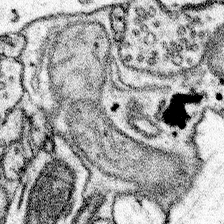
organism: Mouse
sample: Somatosensory cortex neuropil